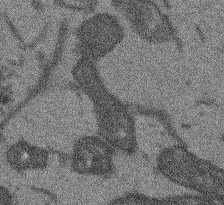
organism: Arabidopsis thaliana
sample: Root tip